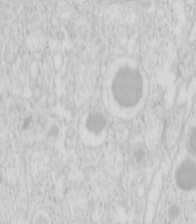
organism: Mouse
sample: Pancreas